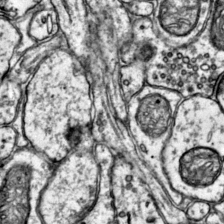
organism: Mouse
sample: Primary visual cortex